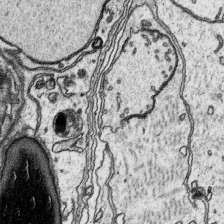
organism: Platynereis dumerilii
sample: Parapodia